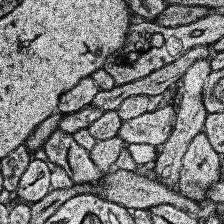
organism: Human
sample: Temporal Lobe